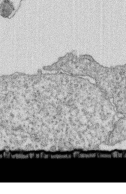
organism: Human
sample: HeLa cell HIV synapse